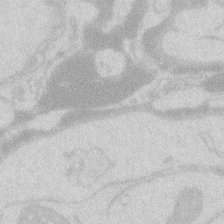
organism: Zebrafish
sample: Macrophage